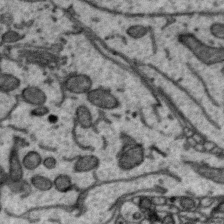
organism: Zebra finch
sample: Brain